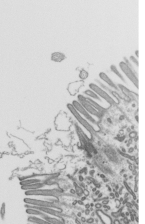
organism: Mouse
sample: Mouse epididymis efferent ductule cilia